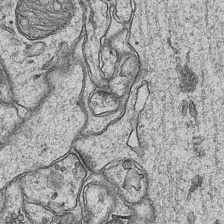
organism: Mouse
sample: CA1 Hippocampus